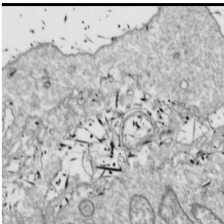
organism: Drosophila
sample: Cell division; meiosis; drosophila spermatocytes